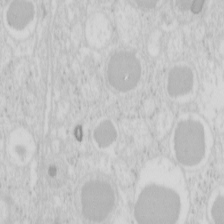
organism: Mouse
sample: Pancreas